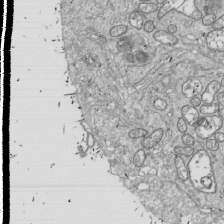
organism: Drosophila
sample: Cell division; meiosis; drosophila spermatocytes